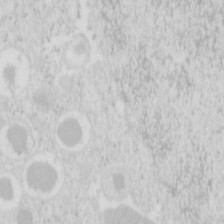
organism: Mouse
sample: Pancreas